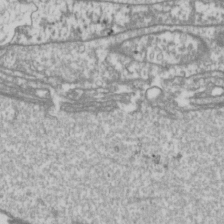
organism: Drosophila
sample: Cell division; meiosis; drosophila spermatocytes